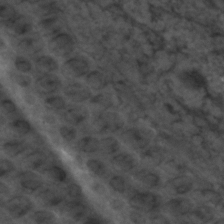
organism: C. elegans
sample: C. elegans embryo